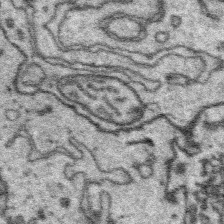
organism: Platynereis dumerilii